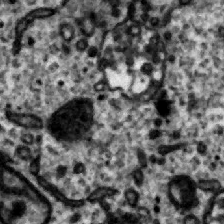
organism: Human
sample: HeLa cells